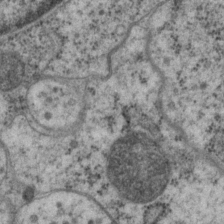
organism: P. pacificus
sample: Pharynx